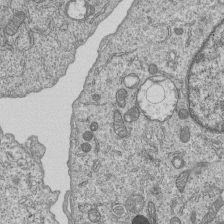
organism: Human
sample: MDA-MB-231 cells